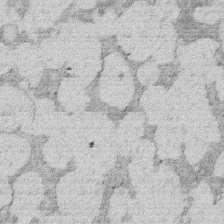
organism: Rat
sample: Salivary granule